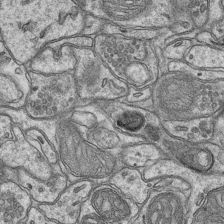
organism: Mouse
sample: CA1 Hippocampus